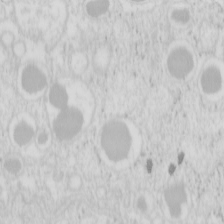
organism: Mouse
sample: Pancreas